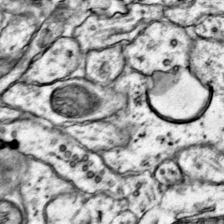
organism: Mouse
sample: Primary visual cortex